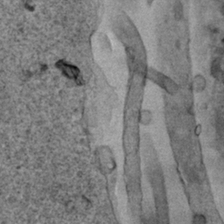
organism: Human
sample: Mitochondria in HCT116 cells